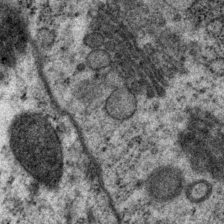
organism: P. pacificus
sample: Pharynx